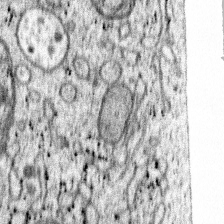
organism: Human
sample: HeLa cells